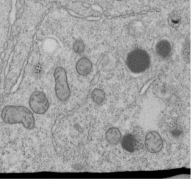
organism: C. elegans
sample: C. elegans embryo early stage